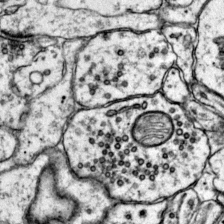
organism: Mouse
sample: Primary visual cortex